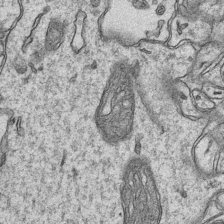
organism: Mouse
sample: CA1 Hippocampus